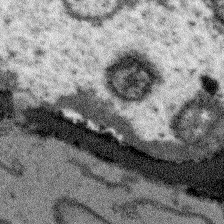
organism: Arabidopsis thaliana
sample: Root tip